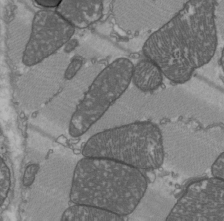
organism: C57BL Mouse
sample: Heart